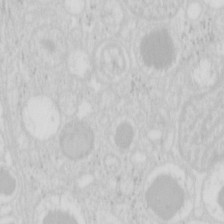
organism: Mouse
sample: Pancreas